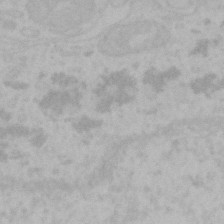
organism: Mouse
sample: Choroid plexus